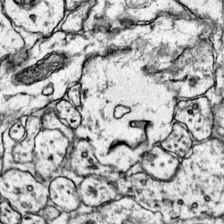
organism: Mouse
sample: Primary visual cortex